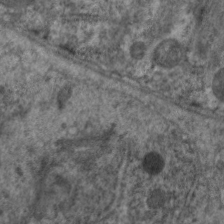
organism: C. elegans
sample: Pharynx